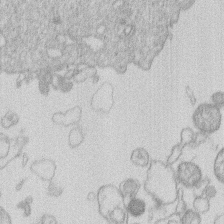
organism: Human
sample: Macrophage cells